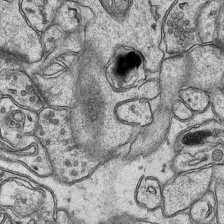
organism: Mouse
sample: CA1 Hippocampus